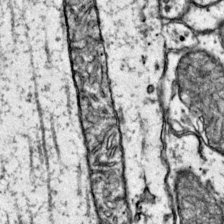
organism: Mouse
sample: Primary visual cortex